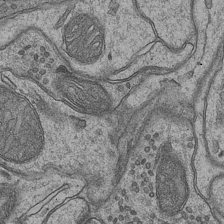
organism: Mouse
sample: CA1 Hippocampus